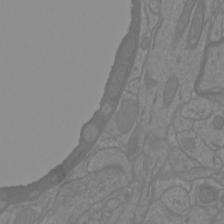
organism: Mouse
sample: Cortical neurons